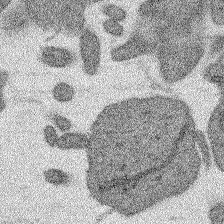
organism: Human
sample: HeLa cells